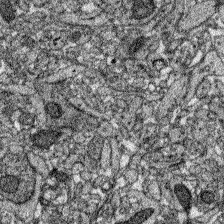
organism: Zebrafish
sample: Larval olfactory bulb